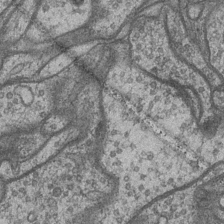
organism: Drosophila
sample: Optic medulla